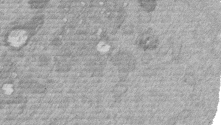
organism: Mouse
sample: Dividing mouse embryo 1 cell stage